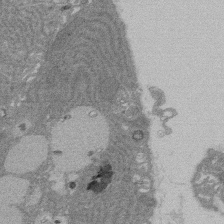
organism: Rat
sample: Salivary granule